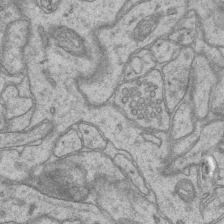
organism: Mouse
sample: CA1 Hippocampus